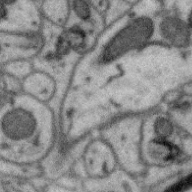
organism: Zebra finch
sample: Brain